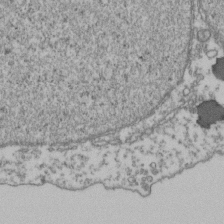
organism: Human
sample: Activated Jurkat CD4+ T cells